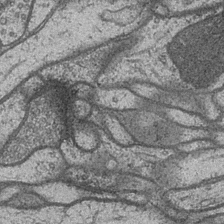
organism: Drosophila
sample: Optic medulla